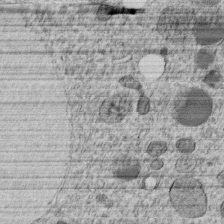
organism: C. elegans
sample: C. elegans embryo early stage